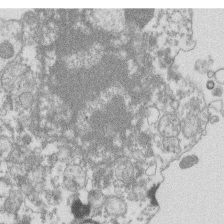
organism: Human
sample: HeLa cell HIV synapse